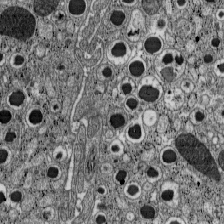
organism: C57BL Mouse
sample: Pancreatic islet